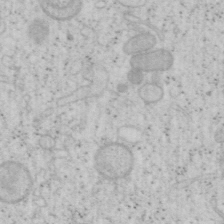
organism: Human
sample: HeLa cells